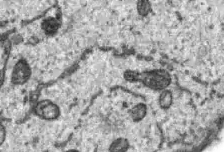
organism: Human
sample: HeLa cells